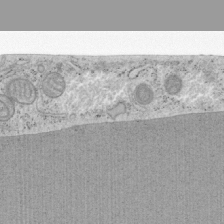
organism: Human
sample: HeLa cells